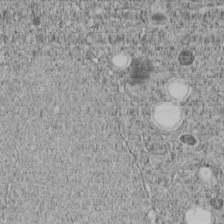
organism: C. elegans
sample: C. elegans embryo early stage